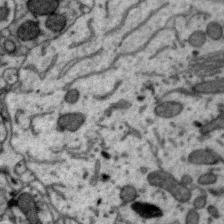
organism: Zebra finch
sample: Brain